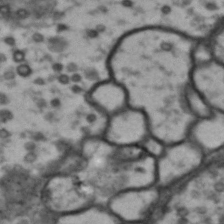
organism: Drosophila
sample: Brain